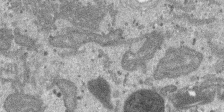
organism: Human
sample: Lung epithelial cells infected with SARS-CoV-2